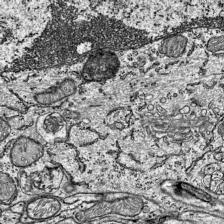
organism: Mouse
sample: Visual Cortex